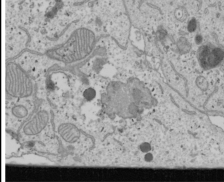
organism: Human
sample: Mitochondria in U2OS cells